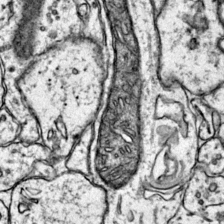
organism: Mouse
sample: Primary visual cortex